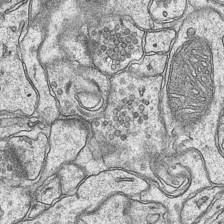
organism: Mouse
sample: CA1 Hippocampus